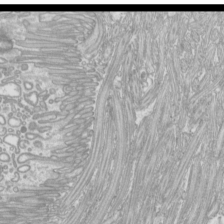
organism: Mouse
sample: Cilia; mouse epididymis